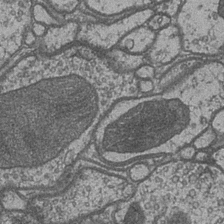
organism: Drosophila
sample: Optic medulla